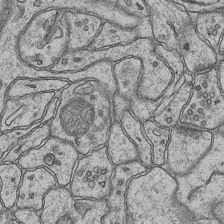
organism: Mouse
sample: CA1 Hippocampus